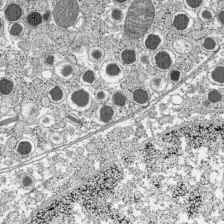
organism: C57BL Mouse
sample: Pancreatic islet